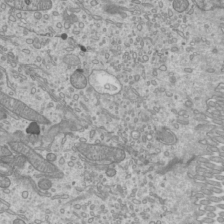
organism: Mouse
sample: Cilia; mouse epididymis